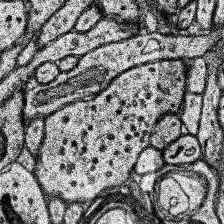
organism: Human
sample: Temporal Lobe